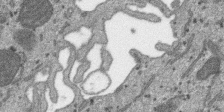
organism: Human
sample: Lung epithelial cells infected with SARS-CoV-2